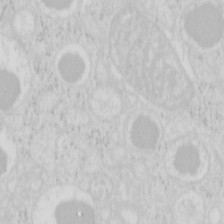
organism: Mouse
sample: Pancreas